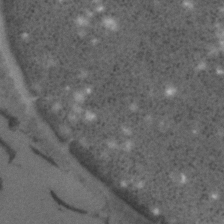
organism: C. elegans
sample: C. elegans embryo